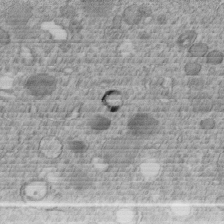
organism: C. elegans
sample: C. elegans embryo early stage